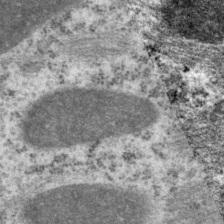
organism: P. pacificus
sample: Pharynx